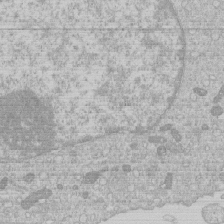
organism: Human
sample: Macrophage cells